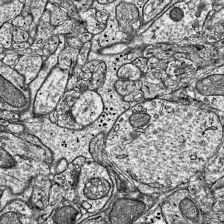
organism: Mouse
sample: Visual Cortex